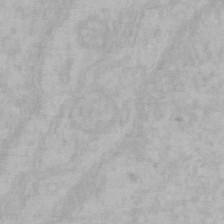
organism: Mouse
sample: Choroid plexus